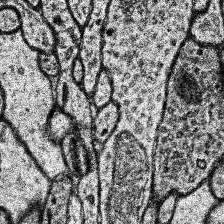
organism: Human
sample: Temporal Lobe